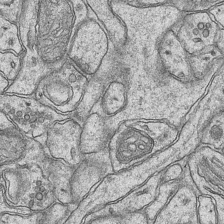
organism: Mouse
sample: CA1 Hippocampus